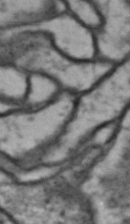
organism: Drosophila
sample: Brain